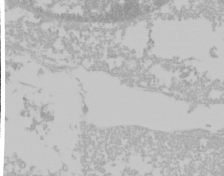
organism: Mouse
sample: Cancer cell death in ED-1 cells